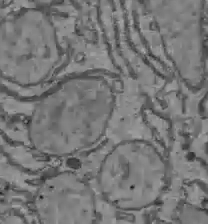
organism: C57BL Mouse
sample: Liver